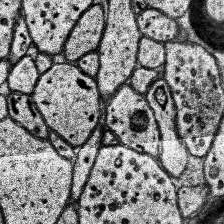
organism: Human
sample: Temporal Lobe